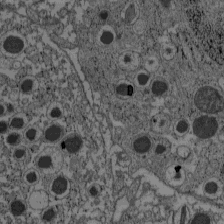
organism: C57BL Mouse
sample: Pancreatic islet